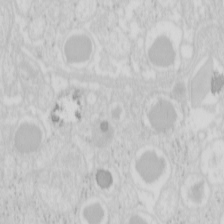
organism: Mouse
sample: Pancreas